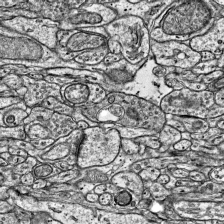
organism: Mouse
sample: Visual Cortex